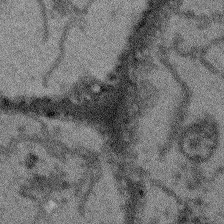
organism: Arabidopsis thaliana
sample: Root tip